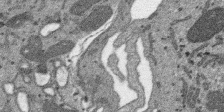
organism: Human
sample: Lung epithelial cells infected with SARS-CoV-2